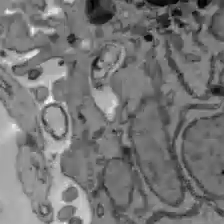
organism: C57BL Mouse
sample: Liver